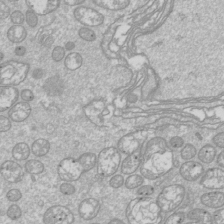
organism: Drosophila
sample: Cell division; meiosis; drosophila spermatocytes